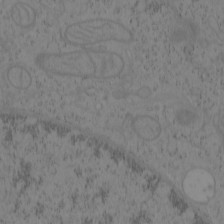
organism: Human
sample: HeLa cells